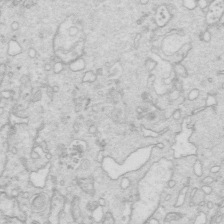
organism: Mouse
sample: Multiciliated cells